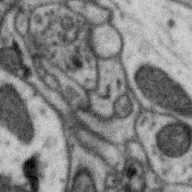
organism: Zebra finch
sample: Brain